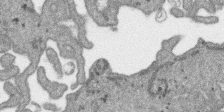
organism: Human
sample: Lung epithelial cells infected with SARS-CoV-2